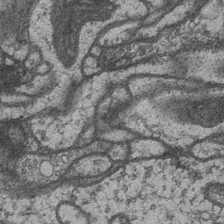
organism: Drosophila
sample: Optic medulla